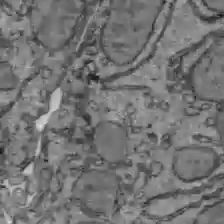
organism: C57BL Mouse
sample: Liver